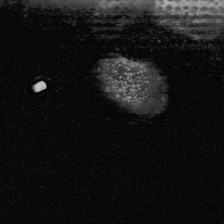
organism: Human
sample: Mitochondria in U2OS cells